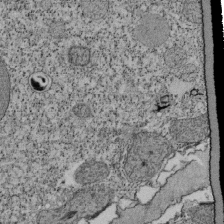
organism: Tetrahymena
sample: Cilia in tetrahymena